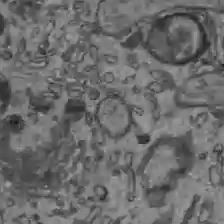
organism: C57BL Mouse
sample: Liver